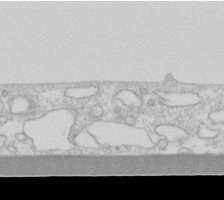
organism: Human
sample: Fibroblast cells